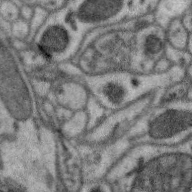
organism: Zebra finch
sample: Brain